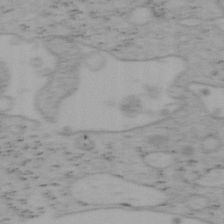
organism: Mouse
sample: OT-I killer T cells with ID8 ovarian cancer cells